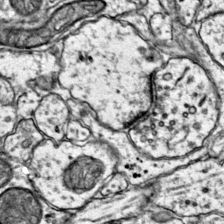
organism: Mouse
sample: Primary visual cortex